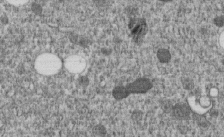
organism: C. elegans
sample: C. elegans embryo early stage